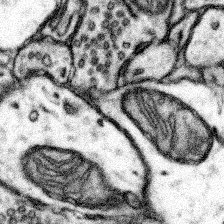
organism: Mouse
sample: Somatosensory cortex neuropil